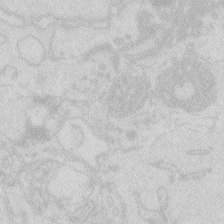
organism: Zebrafish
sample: Macrophage